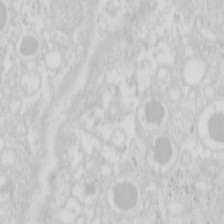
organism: Mouse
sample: Pancreas